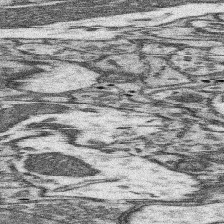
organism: Mouse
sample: Somatosensory cortex neuropil